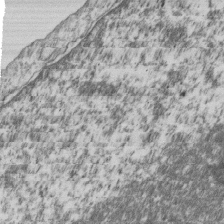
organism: Human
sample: MDA-MB-231 cells